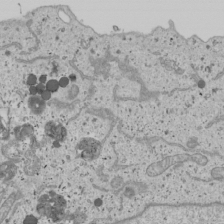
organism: Human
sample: Mitochondria in U2OS cells